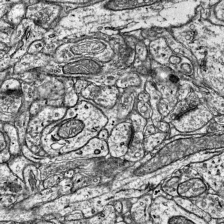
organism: Mouse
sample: Visual Cortex